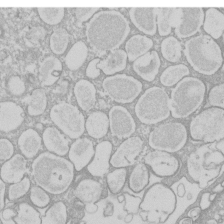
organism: Xenopus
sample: Cilia; centrioles in frog embryo cells